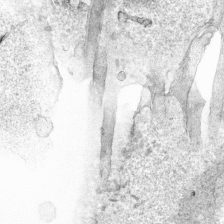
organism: Human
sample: Mitochondria in HCT116 cells